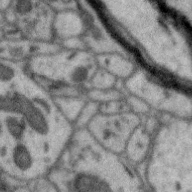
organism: Zebra finch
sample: Brain